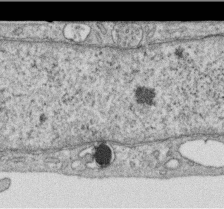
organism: Human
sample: Centriole in RPE cells